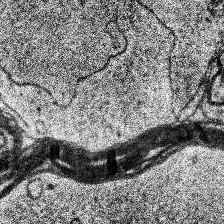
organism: Human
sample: Temporal Lobe